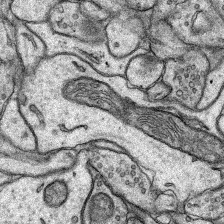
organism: Rat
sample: Hippocampus